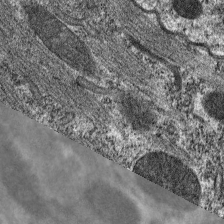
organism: C. elegans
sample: Pharynx